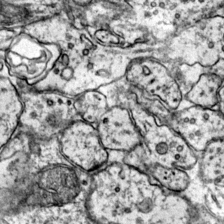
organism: Mouse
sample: Primary visual cortex